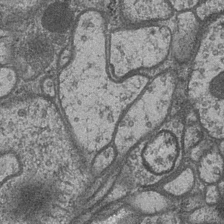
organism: Drosophila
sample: Optic medulla